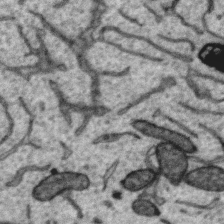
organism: Zebra finch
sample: Brain